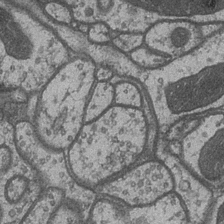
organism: Drosophila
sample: Optic medulla